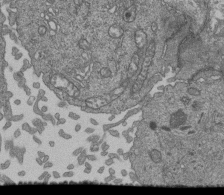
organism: Human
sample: Retinal organoid Rod and Cone cells